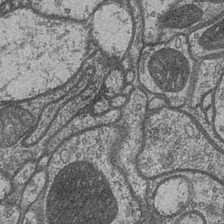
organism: Drosophila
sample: Optic medulla